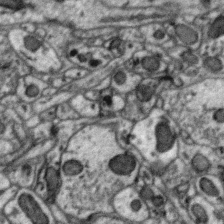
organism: Zebra finch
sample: Brain